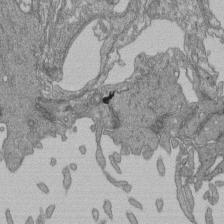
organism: Human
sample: Retinal organoid Rod and Cone cells